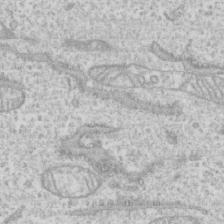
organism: Human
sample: CRL-1474